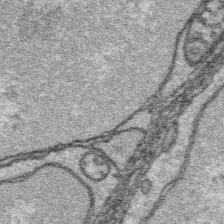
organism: Platynereis dumerilii